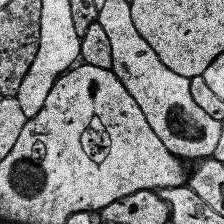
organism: Human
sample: Temporal Lobe